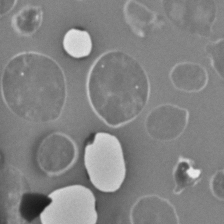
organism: C. elegans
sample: C. elegans embryo